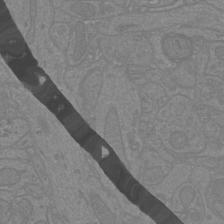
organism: Mouse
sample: Cortical neurons